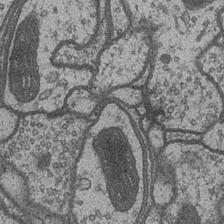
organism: Drosophila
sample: Optic medulla